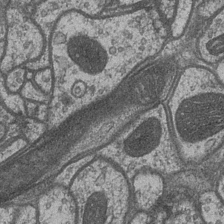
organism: Drosophila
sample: Optic medulla